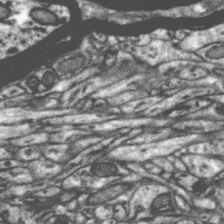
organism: Zebra finch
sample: Brain